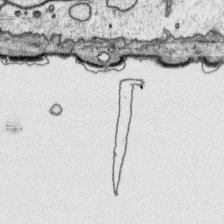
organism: Platynereis dumerilii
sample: Parapodia